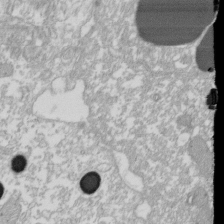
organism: Xenopus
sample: Cilia; centrioles in frog embryo cells